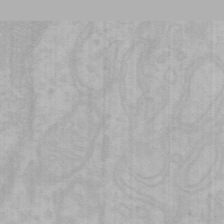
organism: Mouse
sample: Choroid plexus